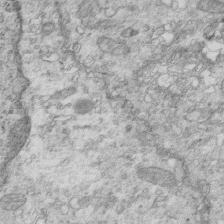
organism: Mouse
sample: Multiciliated cells